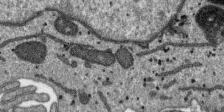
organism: Human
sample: Lung epithelial cells, uninfected (mock) control